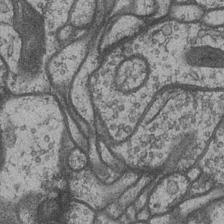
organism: Drosophila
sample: Optic medulla